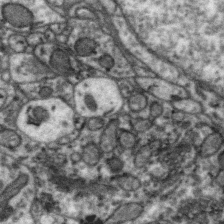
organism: Zebra finch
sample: Brain